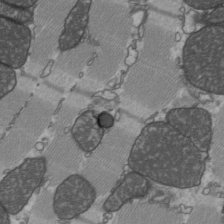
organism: C57BL Mouse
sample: Heart